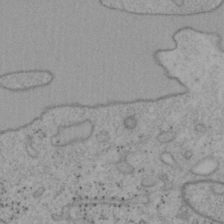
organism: Human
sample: HeLa cells